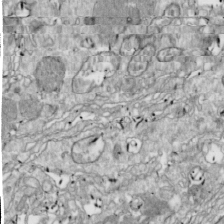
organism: Drosophila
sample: Cell division; meiosis; drosophila spermatocytes